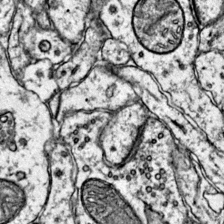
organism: Mouse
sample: Primary visual cortex